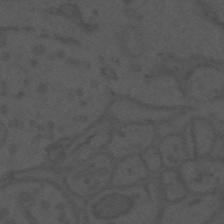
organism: Mouse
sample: Suprachiasmatic nucleus